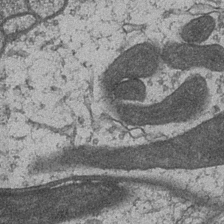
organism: Drosophila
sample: Optic medulla